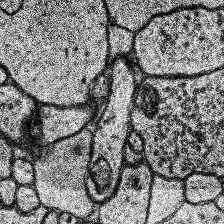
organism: Human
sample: Temporal Lobe